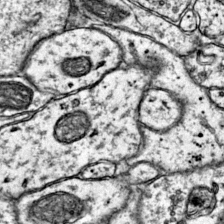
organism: Mouse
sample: Primary visual cortex